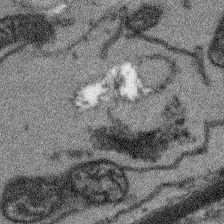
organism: Arabidopsis thaliana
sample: Root tip